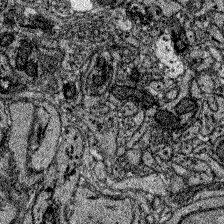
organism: Zebrafish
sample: Larval olfactory bulb